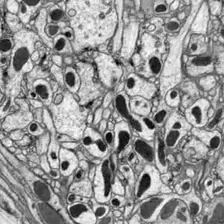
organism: Drosophila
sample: Optic lobe